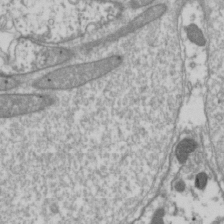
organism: Drosophila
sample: Cell division; meiosis; drosophila spermatocytes